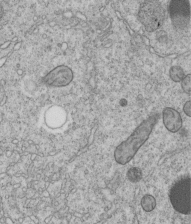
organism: C. elegans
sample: C. elegans embryo early stage